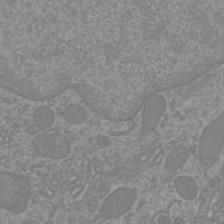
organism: Mouse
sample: Cortical neurons